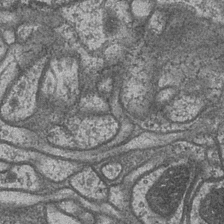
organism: Drosophila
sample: Optic medulla